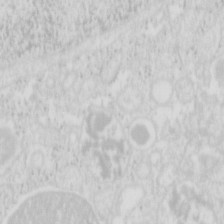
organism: Mouse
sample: Pancreas